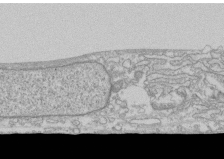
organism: Human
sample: CRL-1474